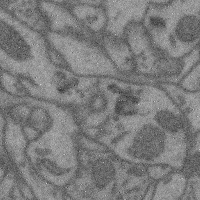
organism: Mouse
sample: Cerebral cortex